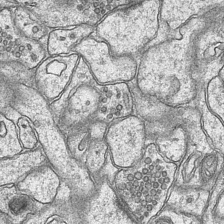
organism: Mouse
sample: CA1 Hippocampus